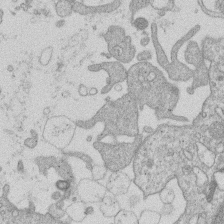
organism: Human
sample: Macrophage cells